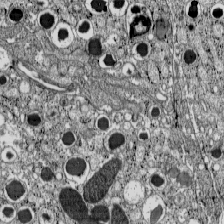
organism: C57BL Mouse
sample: Pancreatic islet